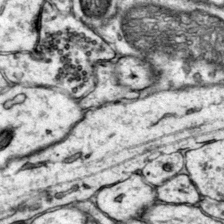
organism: Mouse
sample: Primary visual cortex